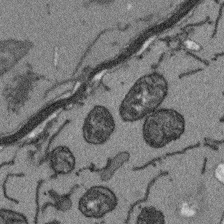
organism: Arabidopsis thaliana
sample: Root tip